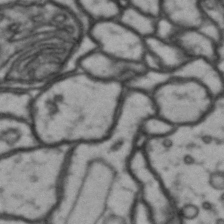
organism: Drosophila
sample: Brain